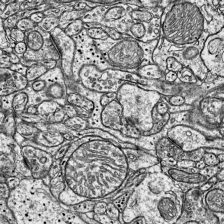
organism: Mouse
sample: Visual Cortex